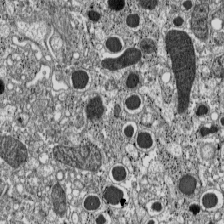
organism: C57BL Mouse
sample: Pancreatic islet